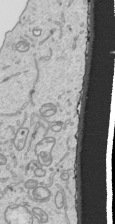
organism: Human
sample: Mitochondria in HCT116 cells